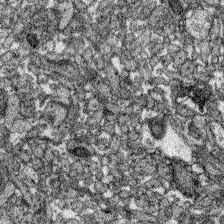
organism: Zebrafish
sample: Larval olfactory bulb